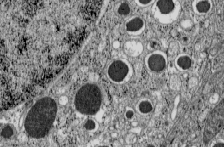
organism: C57BL Mouse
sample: Pancreatic islet